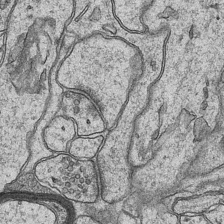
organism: Mouse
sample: CA1 Hippocampus